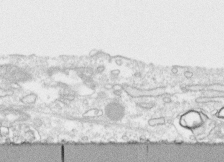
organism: Human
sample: CRL-1474